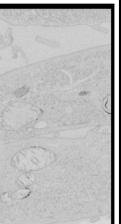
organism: Human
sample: Mitochondria in HCT116 cells